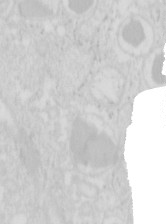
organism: Mouse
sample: Pancreas